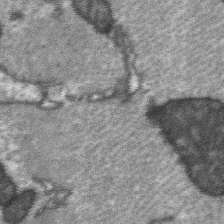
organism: C57BL Mouse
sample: Soleus